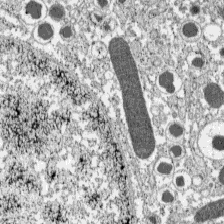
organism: C57BL Mouse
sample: Pancreatic islet